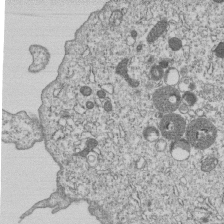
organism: Human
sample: MDA-MB-231 cells